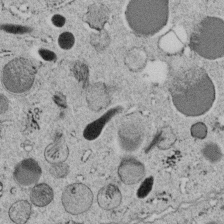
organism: C. elegans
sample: C. elegans embryo early stage